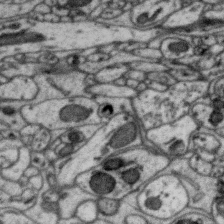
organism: Zebra finch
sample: Brain